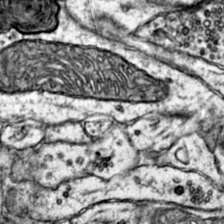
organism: Mouse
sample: Primary visual cortex